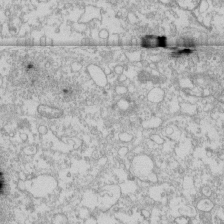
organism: Human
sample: CRL-1474